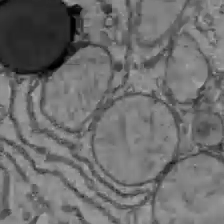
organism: C57BL Mouse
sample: Liver